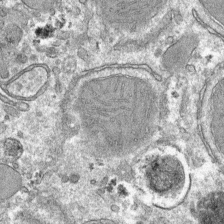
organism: Mouse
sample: Mouse hepatocytes